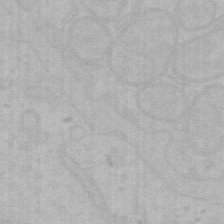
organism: Mouse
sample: Choroid plexus